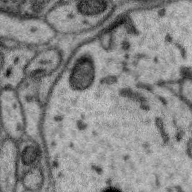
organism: Zebra finch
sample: Brain